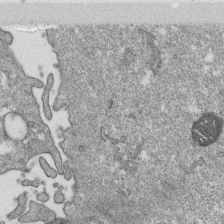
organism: African green monkey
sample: Vero E6 cells infected with SARS-CoV-2